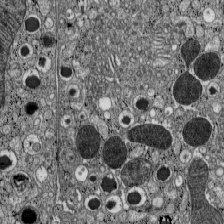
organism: C57BL Mouse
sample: Pancreatic islet